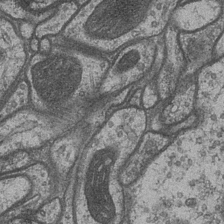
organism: Drosophila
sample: Optic medulla